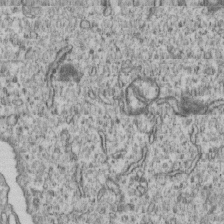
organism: Human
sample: MDA-MB-231 cells